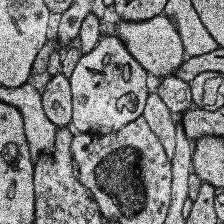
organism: Human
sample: Temporal Lobe